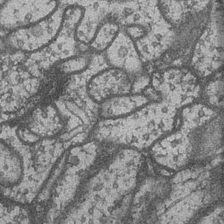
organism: Drosophila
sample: Optic medulla